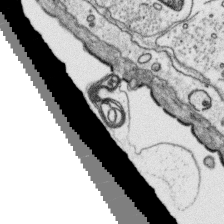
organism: Platynereis dumerilii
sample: Parapodia